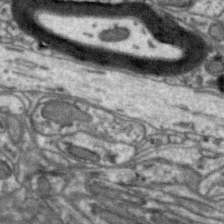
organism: Zebra finch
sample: Brain